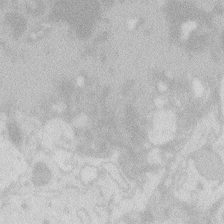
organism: Zebrafish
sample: Macrophage